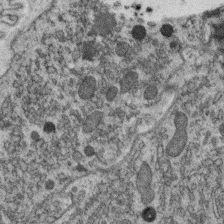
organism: C. elegans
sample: C. elegans oocyte; sperm cells